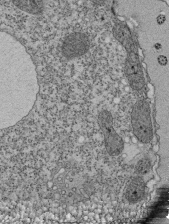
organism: Tetrahymena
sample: Cilia in tetrahymena